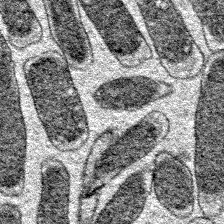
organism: E. coli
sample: E. Coli Bacteria